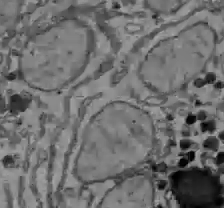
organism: C57BL Mouse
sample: Liver